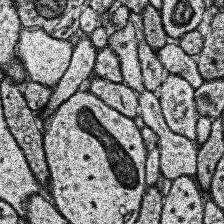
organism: Human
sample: Temporal Lobe